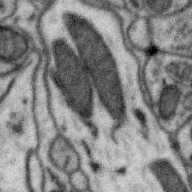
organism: Zebra finch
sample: Brain